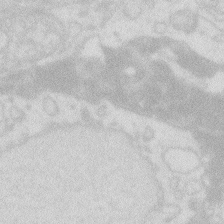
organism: Zebrafish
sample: Macrophage